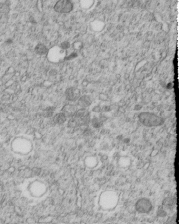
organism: C. elegans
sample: C. elegans embryo early stage